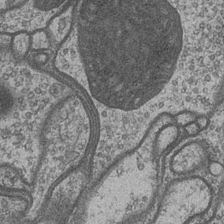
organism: Drosophila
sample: Optic medulla